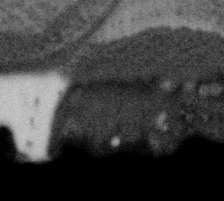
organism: Gemmata obscuriglobus